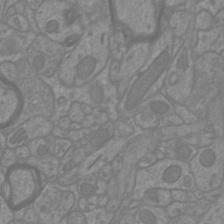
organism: Mouse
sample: Cortical neurons